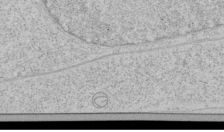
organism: Human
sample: Mitochondria in HCT116 cells